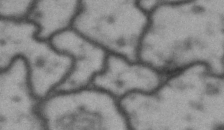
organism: Drosophila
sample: Brain